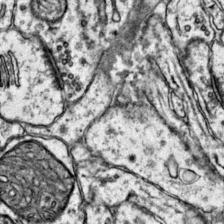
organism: Mouse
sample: Primary visual cortex